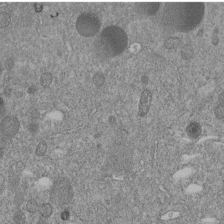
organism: C. elegans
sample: C. elegans embryo early stage